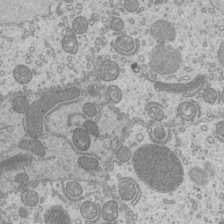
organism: Mouse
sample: Cilia; mouse epididymis